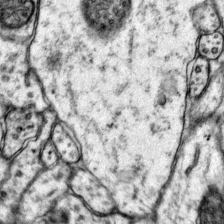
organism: Mouse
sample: Primary visual cortex